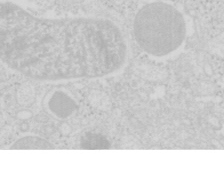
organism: Mouse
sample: Pancreas